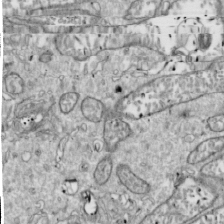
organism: Drosophila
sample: Cell division; meiosis; drosophila spermatocytes